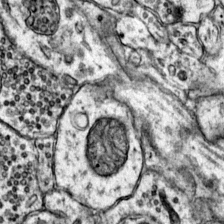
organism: Mouse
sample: Primary visual cortex